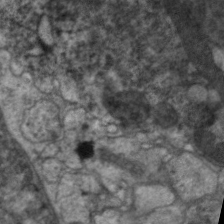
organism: C. elegans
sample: Pharynx